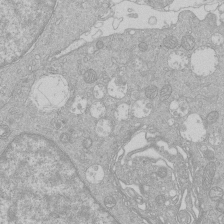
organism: Human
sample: Macrophage cells